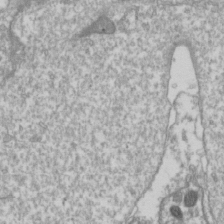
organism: Drosophila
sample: Cell division; meiosis; drosophila spermatocytes